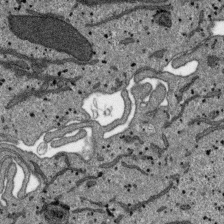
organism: Human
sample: Lung epithelial cells, uninfected (mock) control